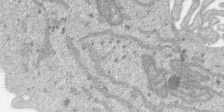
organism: Human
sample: Lung epithelial cells infected with SARS-CoV-2